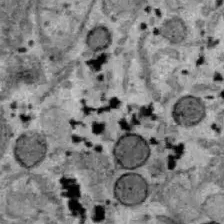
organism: Mouse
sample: Liver from an obese (ob/ob) mouse